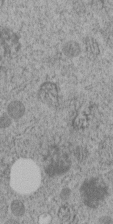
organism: C. elegans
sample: C. elegans embryo early stage